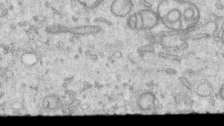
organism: Human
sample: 1205lu cells